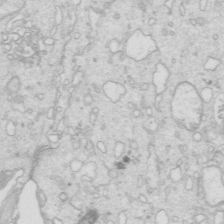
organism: Mouse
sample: Multiciliated cells